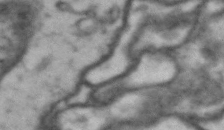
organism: Drosophila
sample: Brain